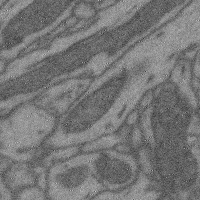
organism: Mouse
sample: Cerebral cortex